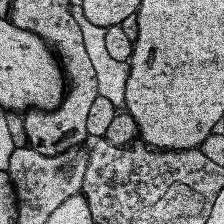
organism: Human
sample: Temporal Lobe